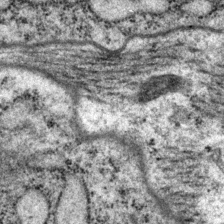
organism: P. pacificus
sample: Pharynx